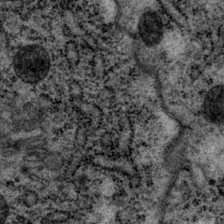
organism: P. pacificus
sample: Pharynx